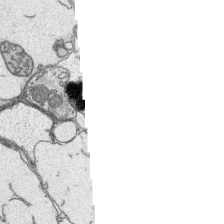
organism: Platynereis dumerilii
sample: Parapodia